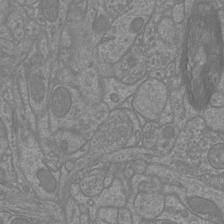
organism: Mouse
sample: Cortical neurons